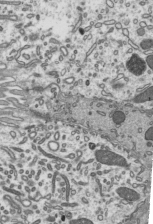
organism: Mouse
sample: Mouse epididymis efferent ductule cilia